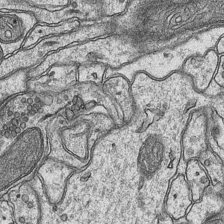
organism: Mouse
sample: CA1 Hippocampus